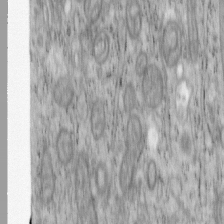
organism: Human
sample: HeLa cells